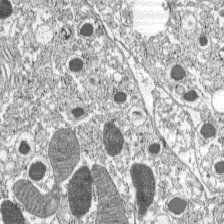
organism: C57BL Mouse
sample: Pancreatic islet